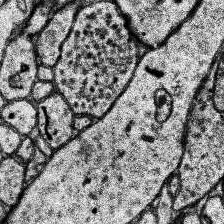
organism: Human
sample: Temporal Lobe